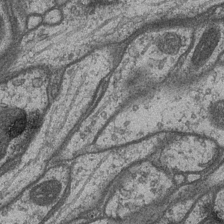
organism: Drosophila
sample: Optic medulla